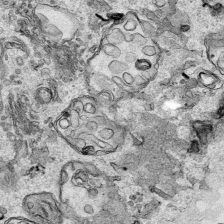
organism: Human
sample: Mitochondria in HCT116 cells